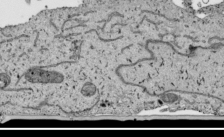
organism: Human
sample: Mitochondria in HCT116 cells